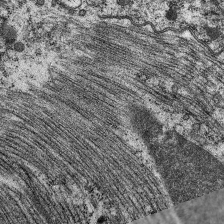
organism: C. elegans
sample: Pharynx